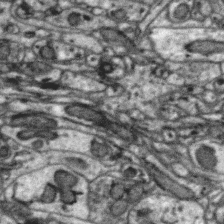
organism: Zebra finch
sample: Brain